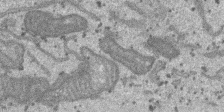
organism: Human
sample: Lung epithelial cells infected with SARS-CoV-2